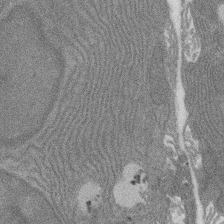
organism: Rat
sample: Salivary granule